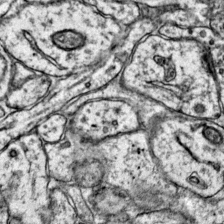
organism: Mouse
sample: Primary visual cortex